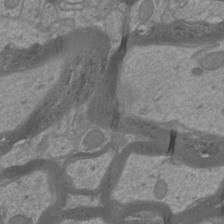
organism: Mouse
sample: Cortical neurons